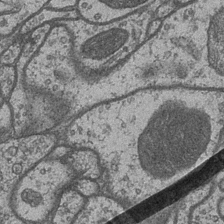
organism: Drosophila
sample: Optic medulla